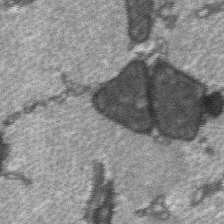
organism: C57BL Mouse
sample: Soleus